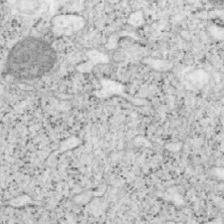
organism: Mouse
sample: OT-I killer T cells with ID8 ovarian cancer cells